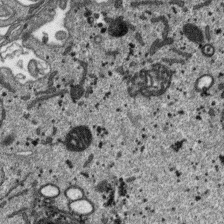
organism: Human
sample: Lung epithelial cells infected with SARS-CoV-2